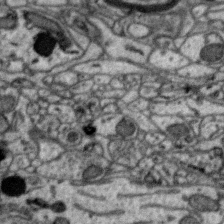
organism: Zebra finch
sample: Brain